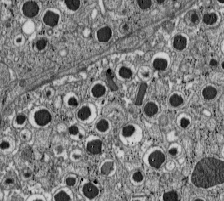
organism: C57BL Mouse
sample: Pancreatic islet